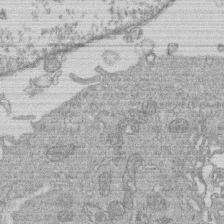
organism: Human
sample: Macrophage cells